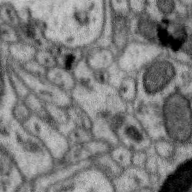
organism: Zebra finch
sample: Brain